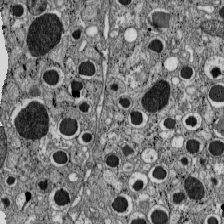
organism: C57BL Mouse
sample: Pancreatic islet